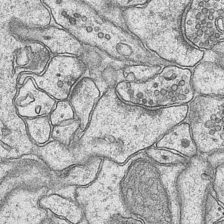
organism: Mouse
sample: CA1 Hippocampus